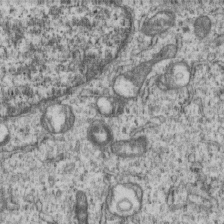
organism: Human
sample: MDA-MB-231 cells